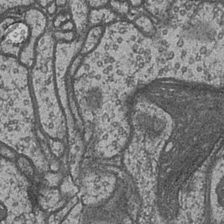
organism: Drosophila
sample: Optic medulla